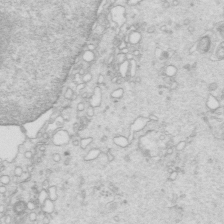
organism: Mouse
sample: Multiciliated cells